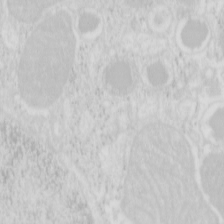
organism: Mouse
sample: Pancreas